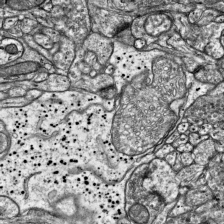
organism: Mouse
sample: Visual Cortex